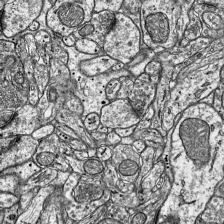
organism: Mouse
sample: Visual Cortex